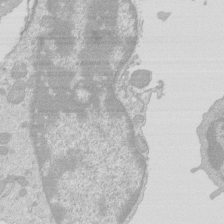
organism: Mouse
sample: Activated Pmel transgenic CD8+ T Cells